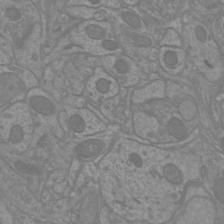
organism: Mouse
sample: Cortical neurons